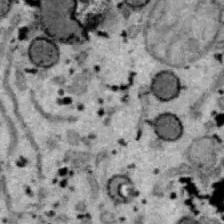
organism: Mouse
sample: Liver from an obese (ob/ob) mouse